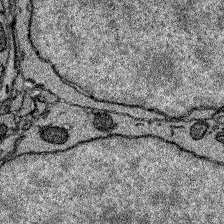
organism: Zebrafish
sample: Larval olfactory bulb